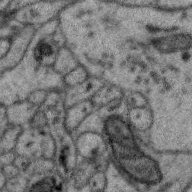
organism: Zebra finch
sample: Brain